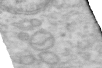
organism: Human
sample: Centriole in RPE cells